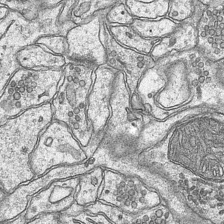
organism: Mouse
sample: CA1 Hippocampus